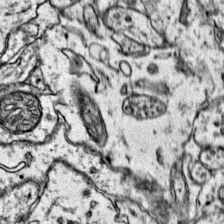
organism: Mouse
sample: Primary visual cortex